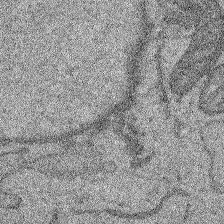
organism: Human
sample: HeLa cells